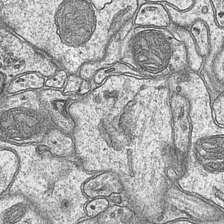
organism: Mouse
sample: CA1 Hippocampus